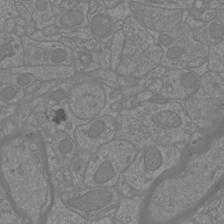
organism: Mouse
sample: Cortical neurons